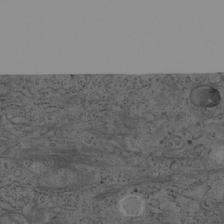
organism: Human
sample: HeLa cells